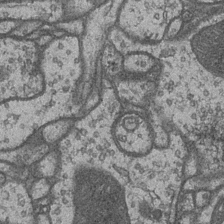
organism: Drosophila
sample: Optic medulla